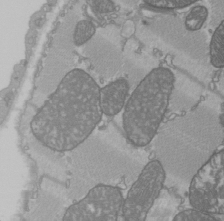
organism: C57BL Mouse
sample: Heart